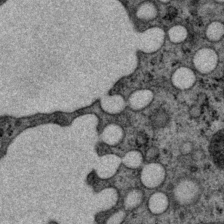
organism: P. pacificus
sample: Pharynx